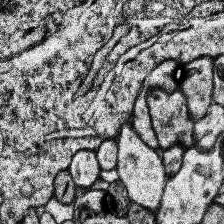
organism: Human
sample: Temporal Lobe